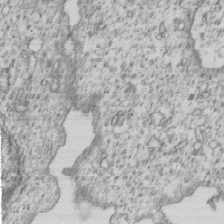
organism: Human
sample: MDA-MB-231 cells